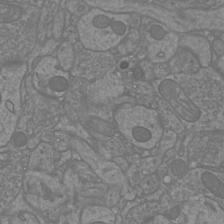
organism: Mouse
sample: Cortical neurons